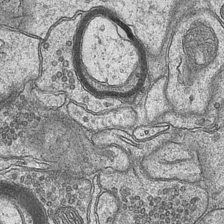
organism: Mouse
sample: CA1 Hippocampus